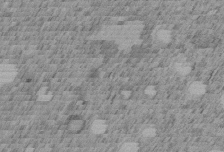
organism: C. elegans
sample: C. elegans embryo early stage